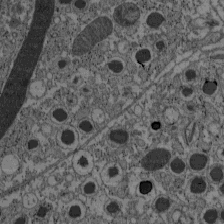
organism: C57BL Mouse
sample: Pancreatic islet